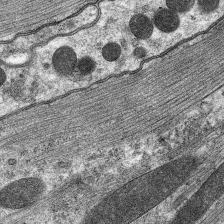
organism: C. elegans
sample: Pharynx